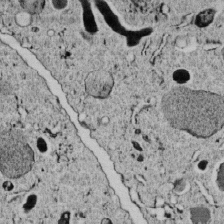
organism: C. elegans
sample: C. elegans embryo early stage